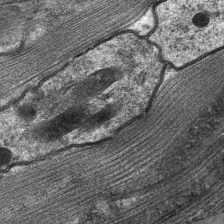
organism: C. elegans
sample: Pharynx